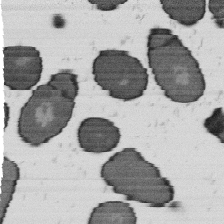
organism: B. subtilis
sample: Bacterial spore